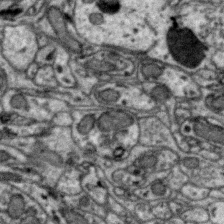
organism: Zebra finch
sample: Brain